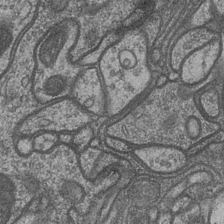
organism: Drosophila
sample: Optic medulla